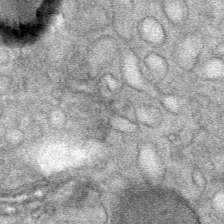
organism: Mouse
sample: Mouse Salivary gland